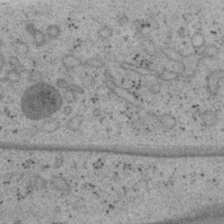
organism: Human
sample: HeLa cells